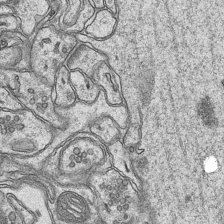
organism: Mouse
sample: CA1 Hippocampus